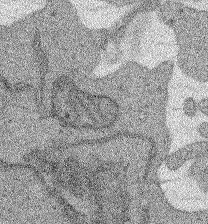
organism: Human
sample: HeLa cells